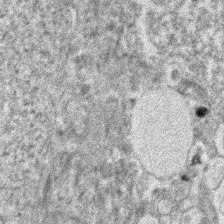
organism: Human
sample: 1205lu cells